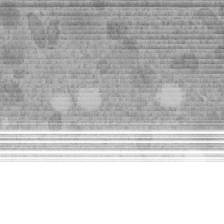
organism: C. elegans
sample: C. elegans embryo early stage